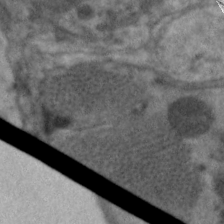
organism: C. elegans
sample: Pharynx